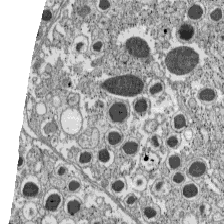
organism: C57BL Mouse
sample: Pancreatic islet